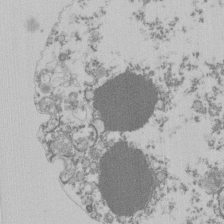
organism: Mouse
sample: Activated Pmel transgenic CD8+ T Cells